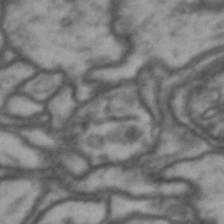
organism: Drosophila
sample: Brain